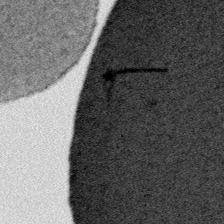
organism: Plasmodium falciparum